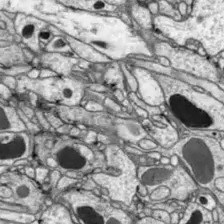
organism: Drosophila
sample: Optic lobe